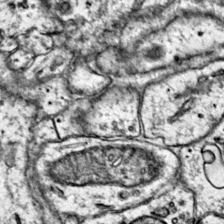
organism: Mouse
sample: Primary visual cortex